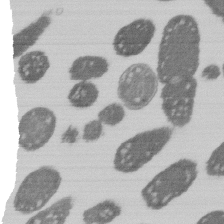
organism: E. coli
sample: Bacterial nucleoid